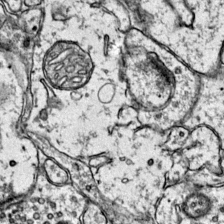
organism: Mouse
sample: Primary visual cortex